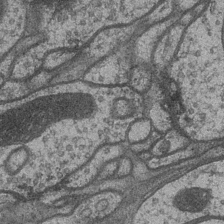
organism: Drosophila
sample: Optic medulla